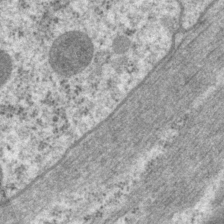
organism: P. pacificus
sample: Pharynx